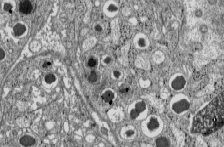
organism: C57BL Mouse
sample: Pancreatic islet